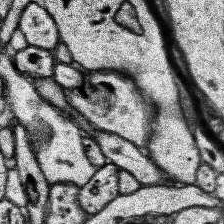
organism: Human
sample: Temporal Lobe